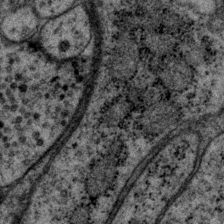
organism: P. pacificus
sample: Pharynx